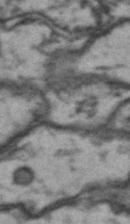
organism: Drosophila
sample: Brain